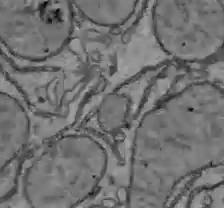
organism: C57BL Mouse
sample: Liver